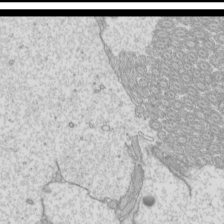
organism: Mouse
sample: Cilia; mouse epididymis